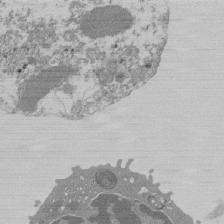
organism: Mouse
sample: Activated Pmel transgenic CD8+ T Cells